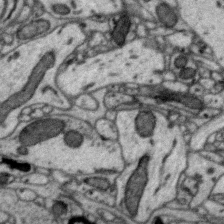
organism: Zebra finch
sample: Brain